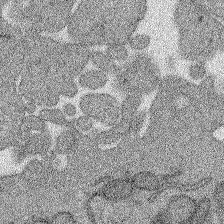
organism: Human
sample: HeLa cells